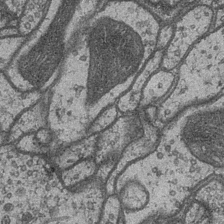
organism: Drosophila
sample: Optic medulla